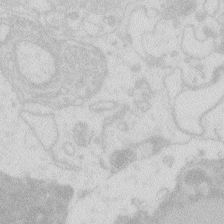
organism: Zebrafish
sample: Macrophage